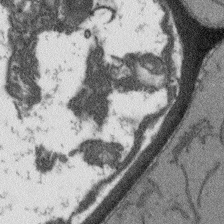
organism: Arabidopsis thaliana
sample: Root tip